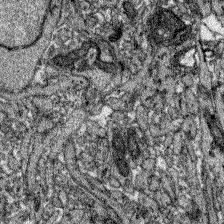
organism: Zebrafish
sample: Larval olfactory bulb